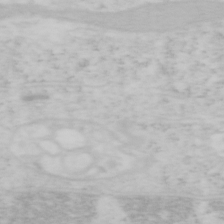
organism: Mouse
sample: OT-I killer T cells with ID8 ovarian cancer cells